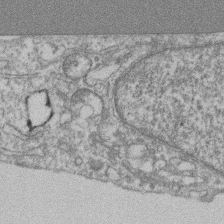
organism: Mouse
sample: T cell stromal cell synapse